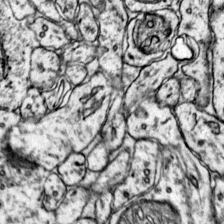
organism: Mouse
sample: Primary visual cortex